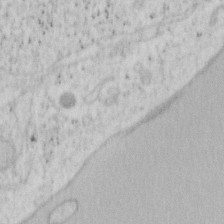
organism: Human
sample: HeLa cells